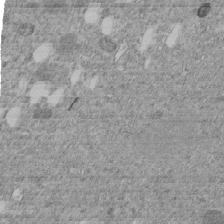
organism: C. elegans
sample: C. elegans embryo early stage